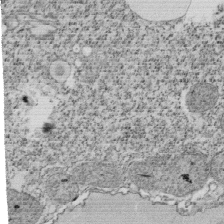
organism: Tetrahymena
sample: Cilia in tetrahymena